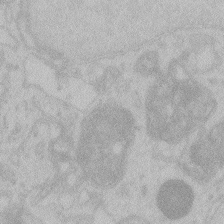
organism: Zebrafish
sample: Macrophage infected with Toxoplasma gondii